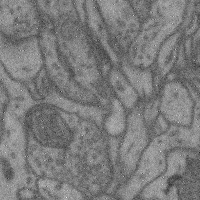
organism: Mouse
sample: Cerebral cortex